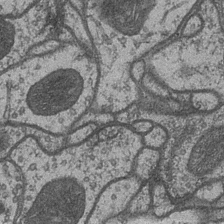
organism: Drosophila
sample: Optic medulla